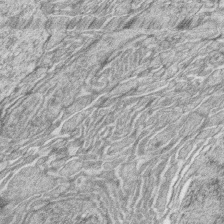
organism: Zebrafish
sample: synaptic ribbons in rod cells and cone cells